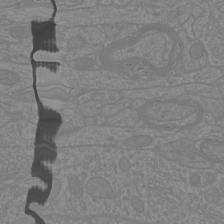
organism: Mouse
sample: Cortical neurons